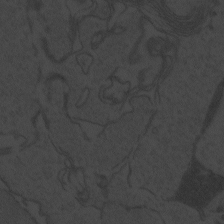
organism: Zebrafish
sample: Macrophage infected with Toxoplasma gondii